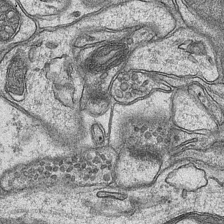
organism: Mouse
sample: CA1 Hippocampus